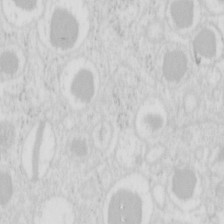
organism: Mouse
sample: Pancreas